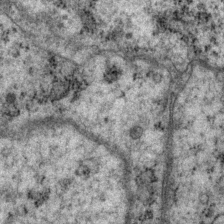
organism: P. pacificus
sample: Pharynx